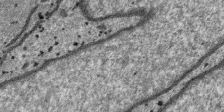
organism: Human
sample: Lung epithelial cells, uninfected (mock) control